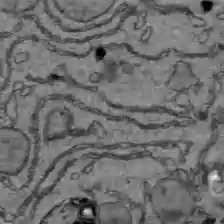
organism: C57BL Mouse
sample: Liver